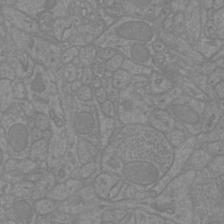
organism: Mouse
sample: Cortical neurons